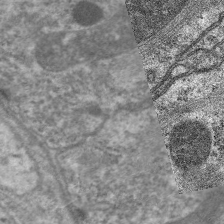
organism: C. elegans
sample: Pharynx